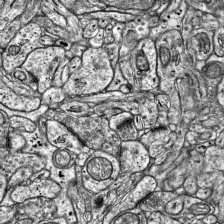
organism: Mouse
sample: Visual Cortex